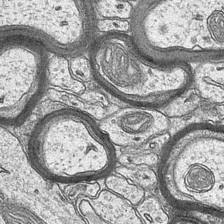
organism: Mouse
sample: CA1 Hippocampus